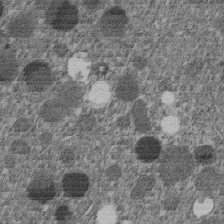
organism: C. elegans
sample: C. elegans embryo early stage